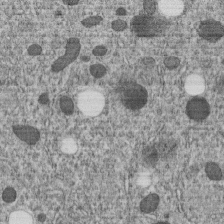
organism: C. elegans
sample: C. elegans embryo early stage